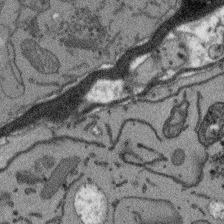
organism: Arabidopsis thaliana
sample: Root tip